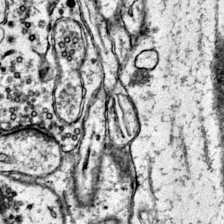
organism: Mouse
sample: Primary visual cortex